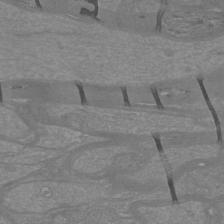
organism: Mouse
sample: Cortical neurons